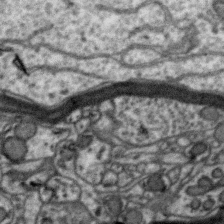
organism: Zebra finch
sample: Brain